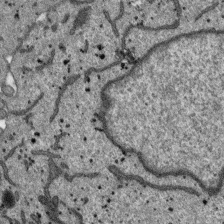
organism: Human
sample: Lung epithelial cells, uninfected (mock) control